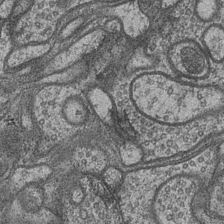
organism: Drosophila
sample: Optic medulla